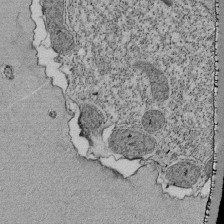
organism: Tetrahymena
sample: Cilia in tetrahymena